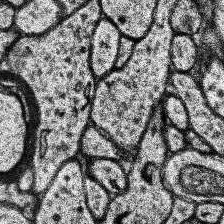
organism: Human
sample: Temporal Lobe